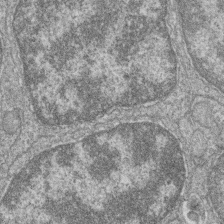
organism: Zebrafish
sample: Cilia; retinal pigment epithelium